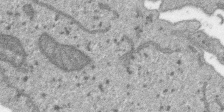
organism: Human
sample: Lung epithelial cells infected with SARS-CoV-2